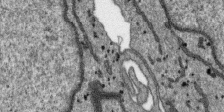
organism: Human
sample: Lung epithelial cells, uninfected (mock) control